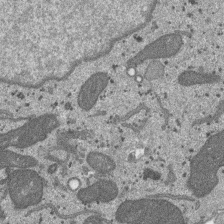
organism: Human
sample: Lung epithelial cells infected with SARS-CoV-2